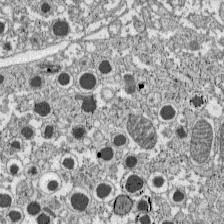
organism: C57BL Mouse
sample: Pancreatic islet